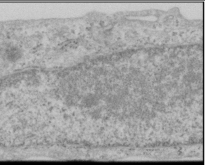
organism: Human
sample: Cilia; basal body in RPE cells